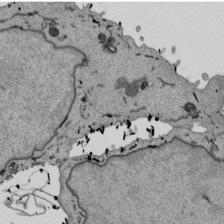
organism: Mouse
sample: ED-1 cell nuclei; centrioles